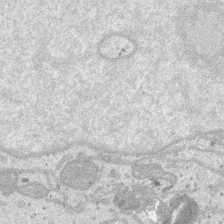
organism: Human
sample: Lung epithelial cells infected with SARS-CoV-2